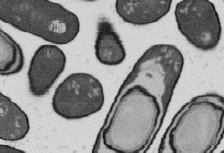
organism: B. subtilis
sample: Bacterial spore